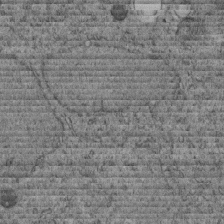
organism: C. elegans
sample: C. elegans embryo early stage